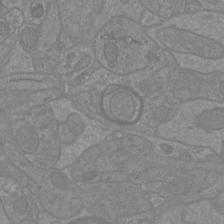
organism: Mouse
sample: Cortical neurons